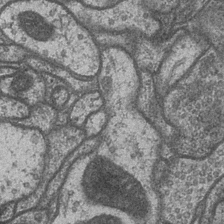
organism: Drosophila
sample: Optic medulla